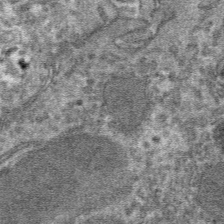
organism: Mouse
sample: Mouse hepatocytes